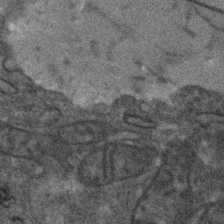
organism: Human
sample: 1205lu cells